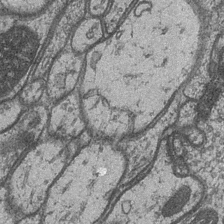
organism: Drosophila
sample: Optic medulla